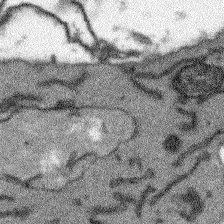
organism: Arabidopsis thaliana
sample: Root tip